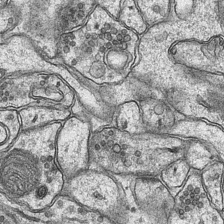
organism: Mouse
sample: CA1 Hippocampus